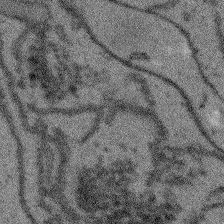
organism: Arabidopsis thaliana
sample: Root tip